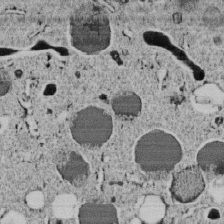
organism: C. elegans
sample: C. elegans embryo early stage